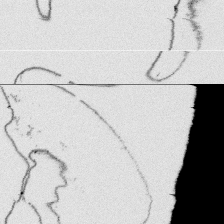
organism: Platynereis dumerilii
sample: Parapodia